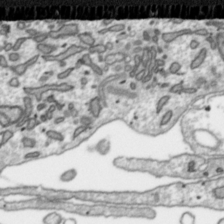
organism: Toxoplasma gondii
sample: Parasites in a vacuole inside a host cell